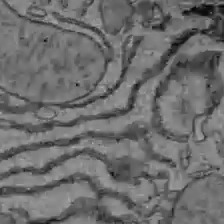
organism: C57BL Mouse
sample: Liver